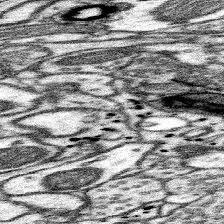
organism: Mouse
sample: Somatosensory cortex neuropil